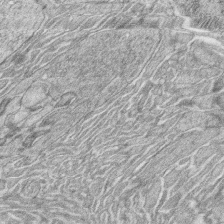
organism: Zebrafish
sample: synaptic ribbons in rod cells and cone cells